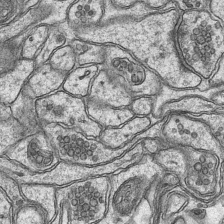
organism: Mouse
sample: CA1 Hippocampus